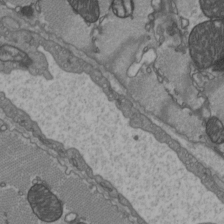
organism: C57BL Mouse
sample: Heart